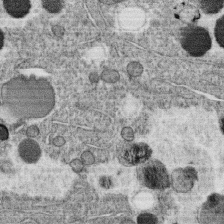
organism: C. elegans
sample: C. elegans oocyte; sperm cells